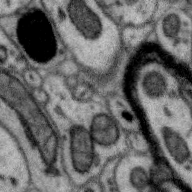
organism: Zebra finch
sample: Brain